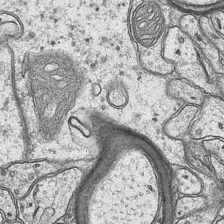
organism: Mouse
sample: CA1 Hippocampus